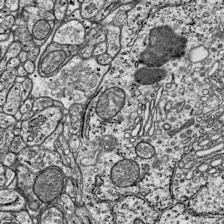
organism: Mouse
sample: Visual Cortex